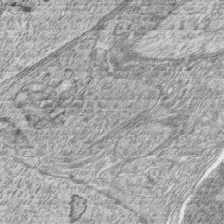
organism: Zebrafish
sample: synaptic ribbons in rod cells and cone cells